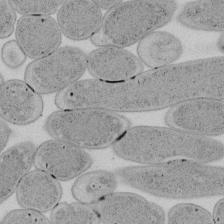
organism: E. coli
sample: Bacterial nucleoid